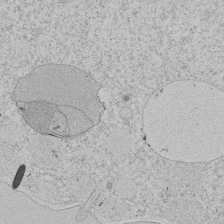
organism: Tetrahymena